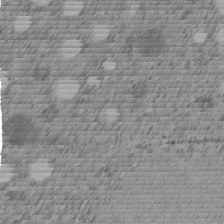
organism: C. elegans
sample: C. elegans embryo early stage